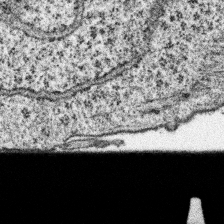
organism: Human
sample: HeLa cells